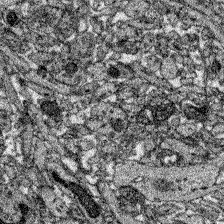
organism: Zebrafish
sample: Larval olfactory bulb